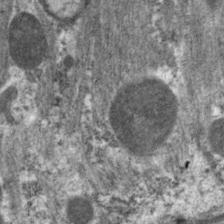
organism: C. elegans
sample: Pharynx